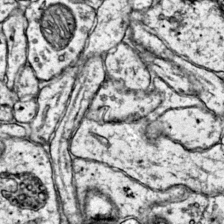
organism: Mouse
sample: Primary visual cortex